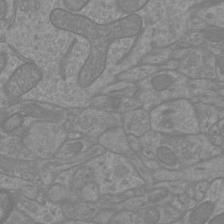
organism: Mouse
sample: Cortical neurons